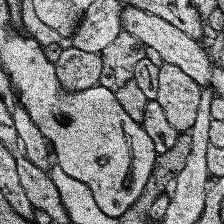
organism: Human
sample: Temporal Lobe